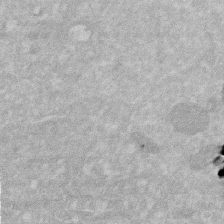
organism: Human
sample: HIV infected U937 cells